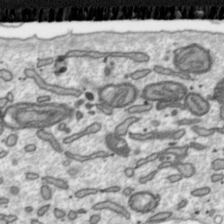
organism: Toxoplasma gondii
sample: Parasites in a vacuole inside a host cell